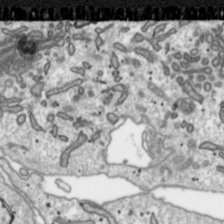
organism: Toxoplasma gondii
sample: Parasites in a vacuole inside a host cell